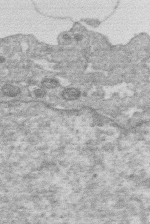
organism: Human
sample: Macrophage cells